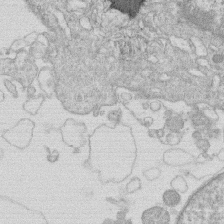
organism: Human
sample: Macrophage cells